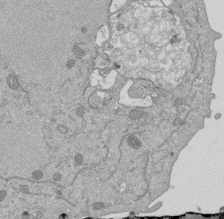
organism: Mouse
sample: ED-1 cell nuclei; centrioles